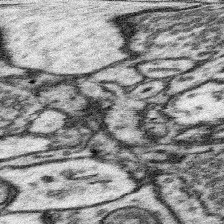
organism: Mouse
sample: Somatosensory cortex neuropil